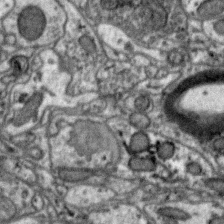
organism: Zebra finch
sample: Brain